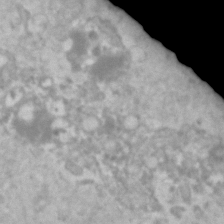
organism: Human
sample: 1205lu cells